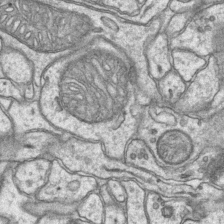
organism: Mouse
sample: CA1 Hippocampus